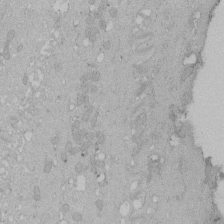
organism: Human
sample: Melanocyte Keratinocyte synapse skin construct